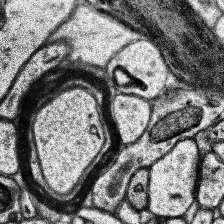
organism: Human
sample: Temporal Lobe